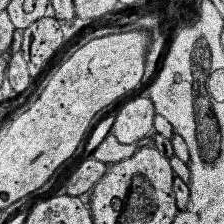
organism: Human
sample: Temporal Lobe